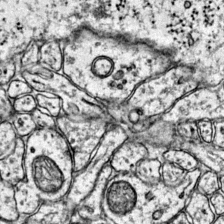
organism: Mouse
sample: Primary visual cortex